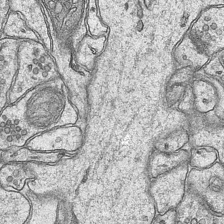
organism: Mouse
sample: CA1 Hippocampus